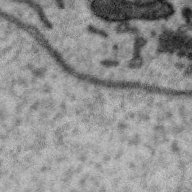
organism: Zebra finch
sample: Brain